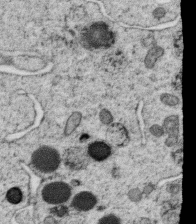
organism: C. elegans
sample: C. elegans oocyte; sperm cells